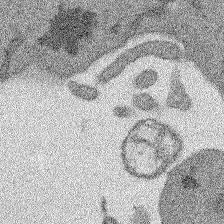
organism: Human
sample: HeLa cells